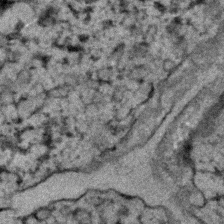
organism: C. elegans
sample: C. elegans embryo